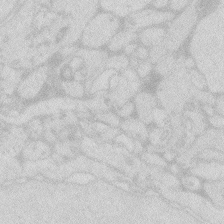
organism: Zebrafish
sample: Macrophage